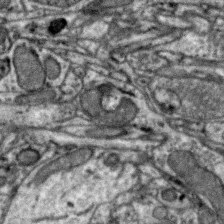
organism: Zebra finch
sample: Brain